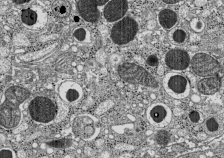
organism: C57BL Mouse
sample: Pancreatic islet